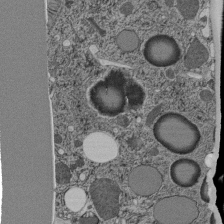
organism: C. elegans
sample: C. elegans pharynx